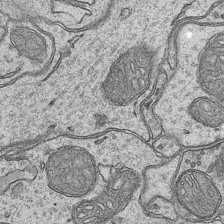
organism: Mouse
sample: CA1 Hippocampus